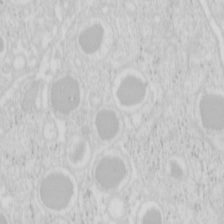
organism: Mouse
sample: Pancreas